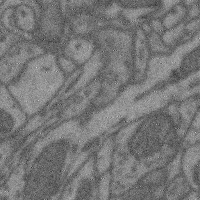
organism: Mouse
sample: Cerebral cortex